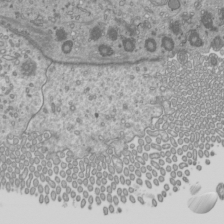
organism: Mouse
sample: Cilia; mouse epididymis